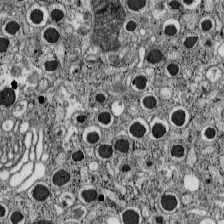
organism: C57BL Mouse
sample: Pancreatic islet